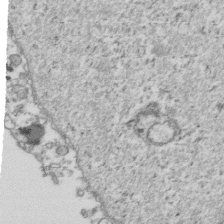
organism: Human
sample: Activated Jurkat CD4+ T cells